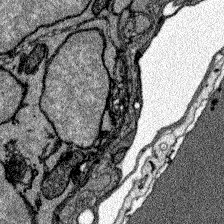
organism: Zebrafish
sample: Larval olfactory bulb